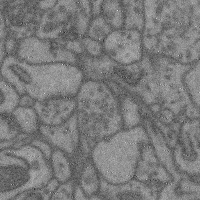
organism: Mouse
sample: Cerebral cortex